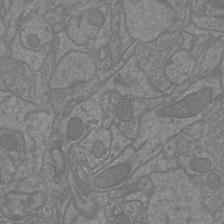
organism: Mouse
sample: Cortical neurons